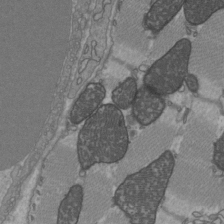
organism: C57BL Mouse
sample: Heart